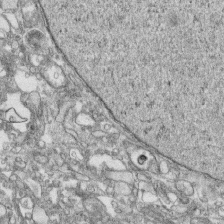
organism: Human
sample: CRL-1474